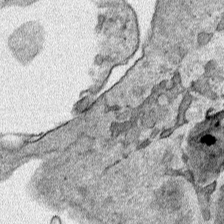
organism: Human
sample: Mitochondria in HCT116 cells